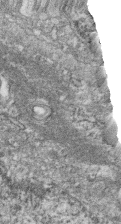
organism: Zebrafish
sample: Cilia; retinal pigment epithelium